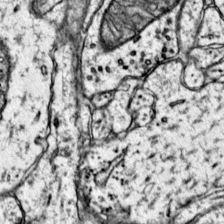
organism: Mouse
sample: Primary visual cortex